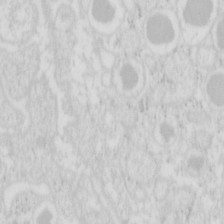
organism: Mouse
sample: Pancreas